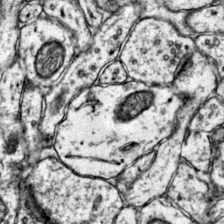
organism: Mouse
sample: Primary visual cortex